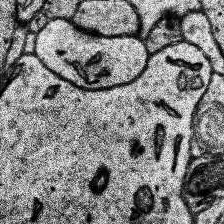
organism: Human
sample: Temporal Lobe